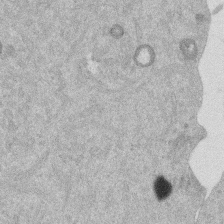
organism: Mouse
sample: Dividing mouse embryo 1 cell stage